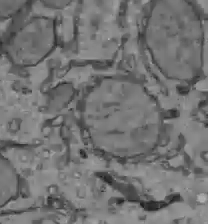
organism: C57BL Mouse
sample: Liver